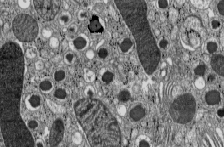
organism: C57BL Mouse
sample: Pancreatic islet